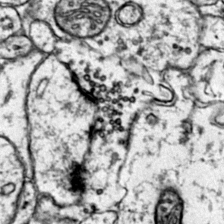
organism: Mouse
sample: Primary visual cortex